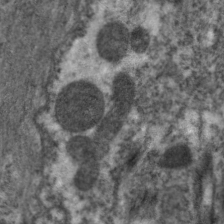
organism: C. elegans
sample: Pharynx